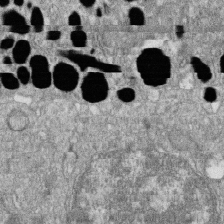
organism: Zebrafish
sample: Cilia; retinal pigment epithelium